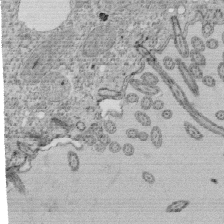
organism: Tetrahymena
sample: Cilia in tetrahymena